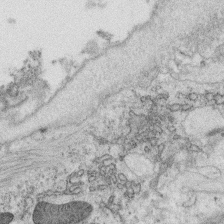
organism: C. elegans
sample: C. elegans oocyte; sperm cells